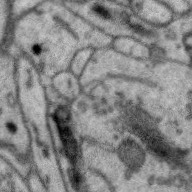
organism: Zebra finch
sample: Brain